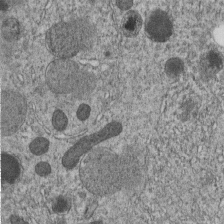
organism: C. elegans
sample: C. elegans embryo early stage